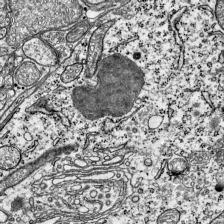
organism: Mouse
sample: Visual Cortex